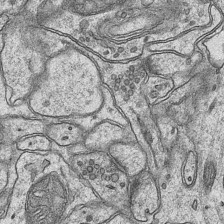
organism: Mouse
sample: CA1 Hippocampus